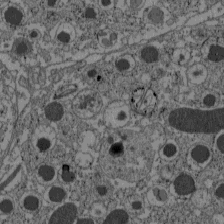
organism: C57BL Mouse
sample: Pancreatic islet